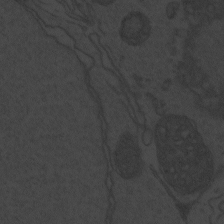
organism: Zebrafish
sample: Macrophage infected with Toxoplasma gondii